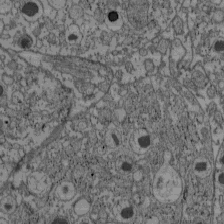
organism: C57BL Mouse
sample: Pancreatic islet